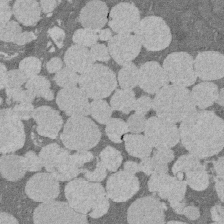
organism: Rat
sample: Salivary granule